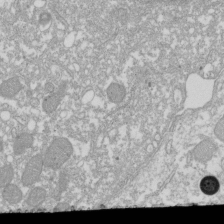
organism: Xenopus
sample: Cilia; centrioles in frog embryo cells